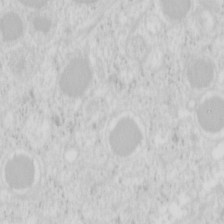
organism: Mouse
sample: Pancreas